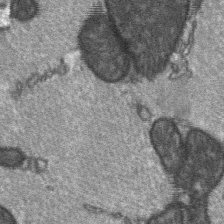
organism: C57BL Mouse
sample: Soleus